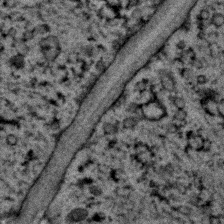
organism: C. elegans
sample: C. elegans embryo